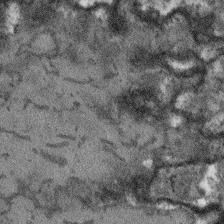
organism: Arabidopsis thaliana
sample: Root tip